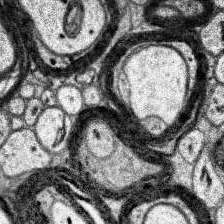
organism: Human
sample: Temporal Lobe